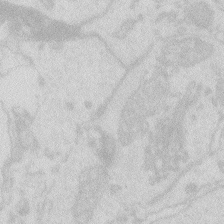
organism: Zebrafish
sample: Macrophage